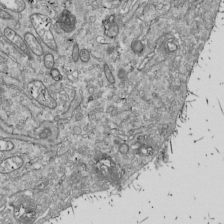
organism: Drosophila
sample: Cell division; meiosis; drosophila spermatocytes